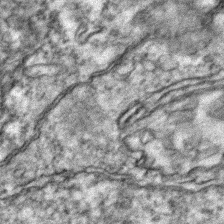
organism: Zebrafish